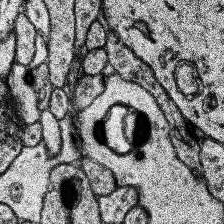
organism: Human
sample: Temporal Lobe